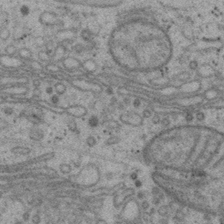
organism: Human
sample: HeLa cells